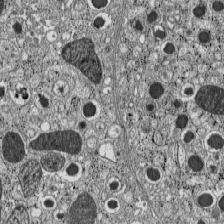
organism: C57BL Mouse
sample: Pancreatic islet